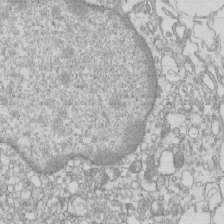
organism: Mouse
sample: Macrophages